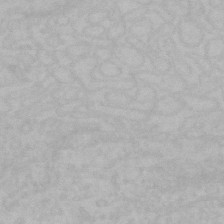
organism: Mouse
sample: Choroid plexus